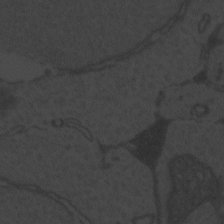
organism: Zebrafish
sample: Macrophage infected with Toxoplasma gondii